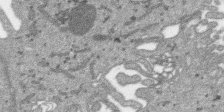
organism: Human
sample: Lung epithelial cells infected with SARS-CoV-2